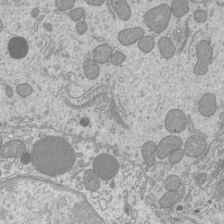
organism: Mouse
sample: Cilia; mouse epididymis